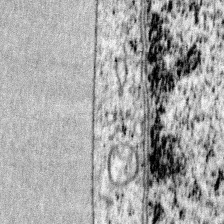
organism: Human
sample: HeLa cells